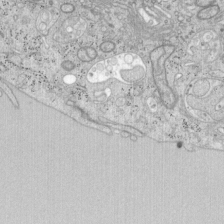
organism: Mouse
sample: OT-I killer T cells with ID8 ovarian cancer cells